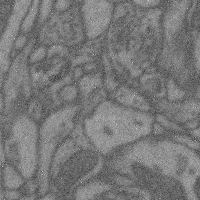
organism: Mouse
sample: Cerebral cortex